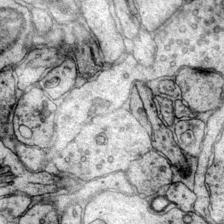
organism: Mouse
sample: Primary visual cortex